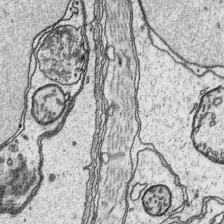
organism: Platynereis dumerilii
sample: Parapodia